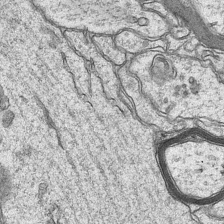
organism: Mouse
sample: CA1 Hippocampus